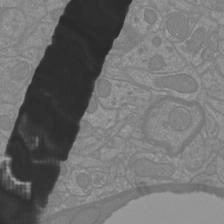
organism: Mouse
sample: Cortical neurons